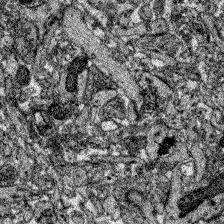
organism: Zebrafish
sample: Larval olfactory bulb